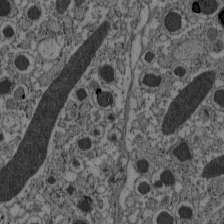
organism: C57BL Mouse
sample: Pancreatic islet